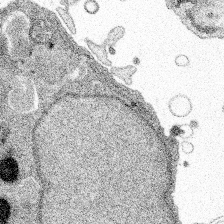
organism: Spongilla lacustris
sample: Multiple